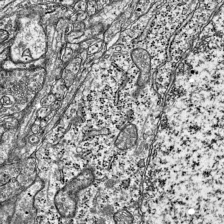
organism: Mouse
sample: Visual Cortex